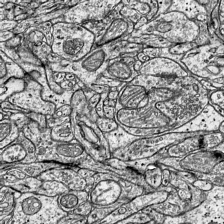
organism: Mouse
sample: Visual Cortex